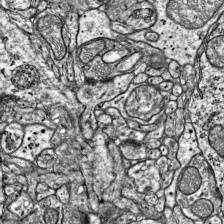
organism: Mouse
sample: Visual Cortex